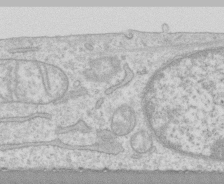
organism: Human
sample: CRL-1474